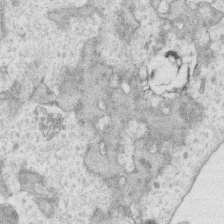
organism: Human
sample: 1205lu cells